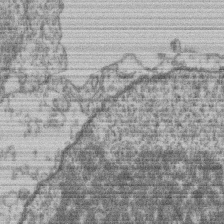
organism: Mouse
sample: T cell stromal cell synapse